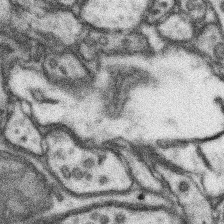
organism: Mouse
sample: Somatosensory cortex neuropil